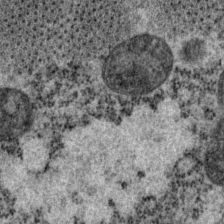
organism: P. pacificus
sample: Pharynx